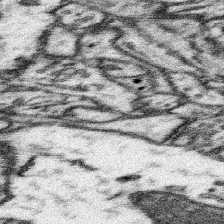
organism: Mouse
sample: Somatosensory cortex neuropil